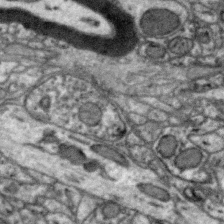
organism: Zebra finch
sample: Brain